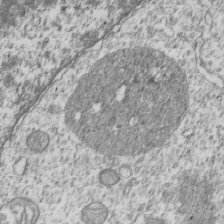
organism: Human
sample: MDA-MB-231 cells